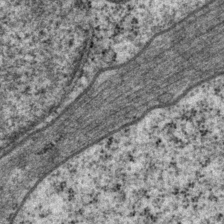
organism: P. pacificus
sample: Pharynx